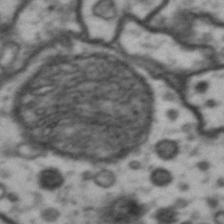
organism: Drosophila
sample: Brain